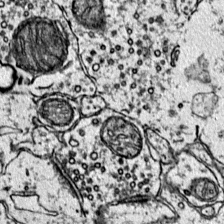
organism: Mouse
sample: Primary visual cortex